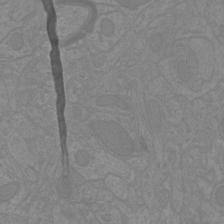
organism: Mouse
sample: Cortical neurons